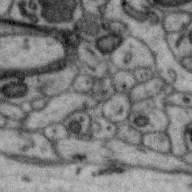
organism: Zebra finch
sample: Brain